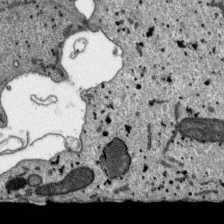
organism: Human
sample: Lung epithelial cells, uninfected (mock) control